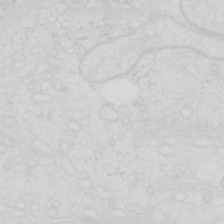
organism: Human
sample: SUM-159 cell